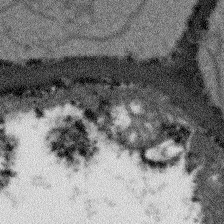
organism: Arabidopsis thaliana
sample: Root tip